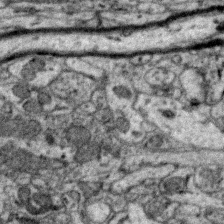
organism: Zebra finch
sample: Brain